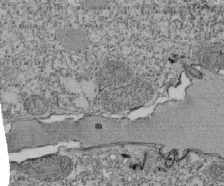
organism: Tetrahymena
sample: Cilia in tetrahymena